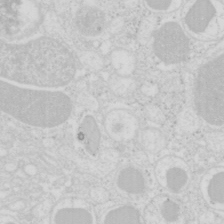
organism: Mouse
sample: Pancreas